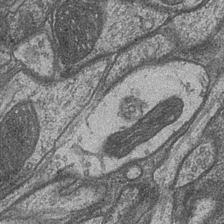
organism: Drosophila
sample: Optic medulla